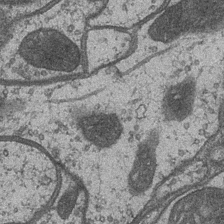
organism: Drosophila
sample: Optic medulla